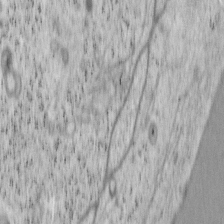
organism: Human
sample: HeLa cells